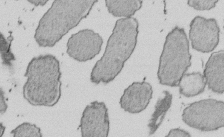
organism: E. coli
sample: Bacterial nucleoid